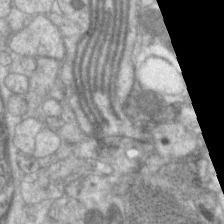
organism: C. elegans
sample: Pharynx